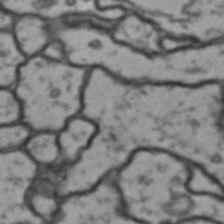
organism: Drosophila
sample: Brain